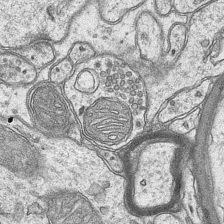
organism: Mouse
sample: CA1 Hippocampus